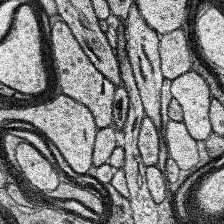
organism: Human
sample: Temporal Lobe